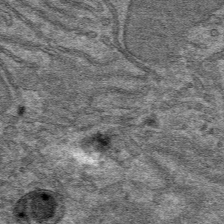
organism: Mouse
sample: Mouse hepatocytes